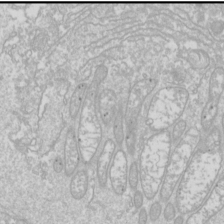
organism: Drosophila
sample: Cell division; meiosis; drosophila spermatocytes